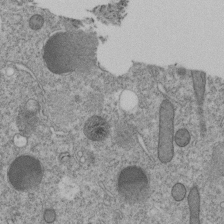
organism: C. elegans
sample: C. elegans embryo early stage